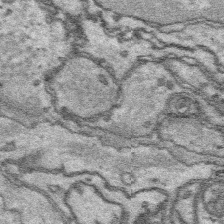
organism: Platynereis dumerilii